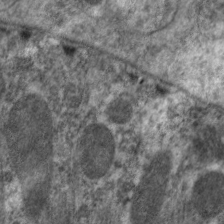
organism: C. elegans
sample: Pharynx